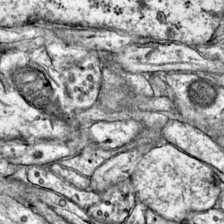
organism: Mouse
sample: Primary visual cortex